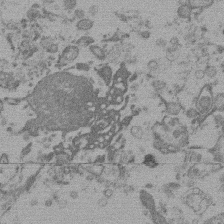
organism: Mouse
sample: Dividing mouse embryo 1 cell stage